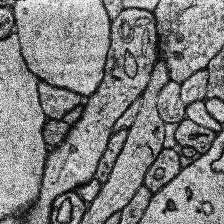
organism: Human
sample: Temporal Lobe